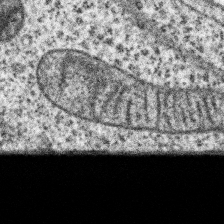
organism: Human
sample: HeLa cells